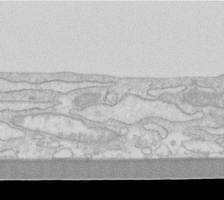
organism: Human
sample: Fibroblast cells